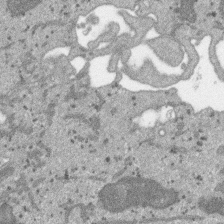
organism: Human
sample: Lung epithelial cells infected with SARS-CoV-2